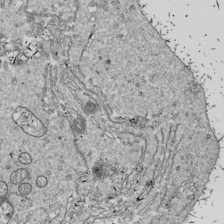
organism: Drosophila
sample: Cell division; meiosis; drosophila spermatocytes